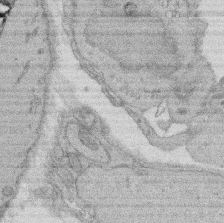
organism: Rat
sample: Salivary granule